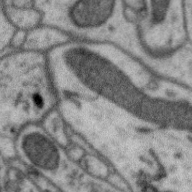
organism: Zebra finch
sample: Brain